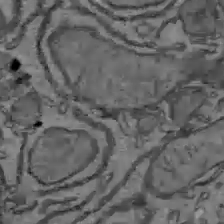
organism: C57BL Mouse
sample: Liver